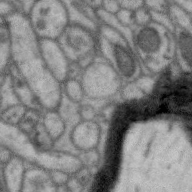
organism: Zebra finch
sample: Brain